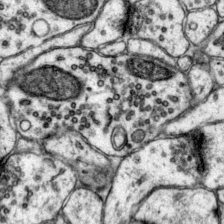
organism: Mouse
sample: Primary visual cortex